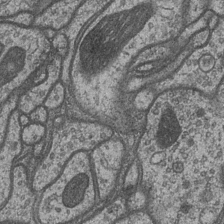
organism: Drosophila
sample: Optic medulla